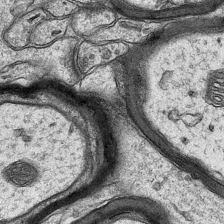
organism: Mouse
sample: CA1 Hippocampus